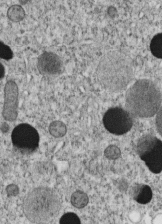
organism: C. elegans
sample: C. elegans embryo early stage